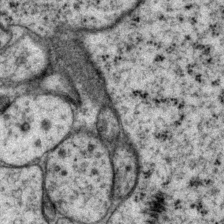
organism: P. pacificus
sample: Pharynx